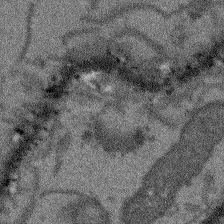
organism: Arabidopsis thaliana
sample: Root tip